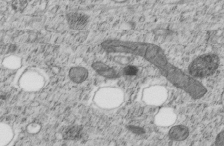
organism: C. elegans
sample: C. elegans embryo early stage